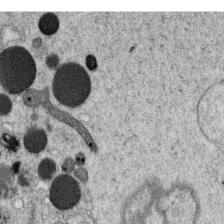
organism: C. elegans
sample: C. elegans oocyte; sperm cells